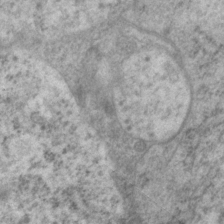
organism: P. pacificus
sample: Pharynx